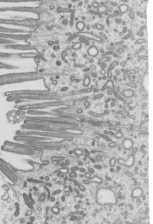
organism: Mouse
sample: Mouse epididymis efferent ductule cilia